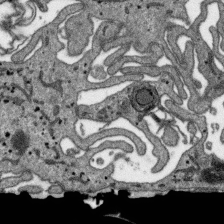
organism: Human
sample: Lung epithelial cells, uninfected (mock) control